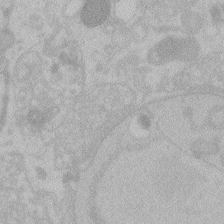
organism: Zebrafish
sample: Macrophage infected with Toxoplasma gondii